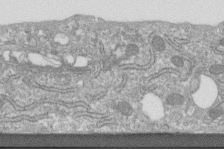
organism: Human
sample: Centriole in fibroblast cells